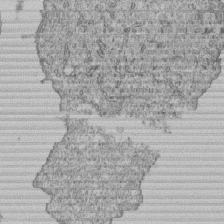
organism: Human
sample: MDA-MB-231 cells